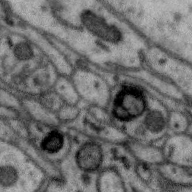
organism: Zebra finch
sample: Brain